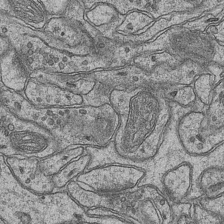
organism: Mouse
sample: CA1 Hippocampus